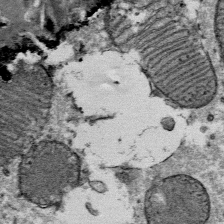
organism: Mouse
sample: Mouse Salivary gland